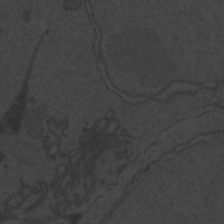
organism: Zebrafish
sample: Macrophage infected with Toxoplasma gondii